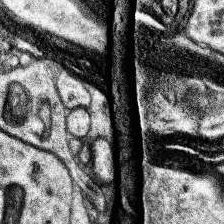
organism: Human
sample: Temporal Lobe